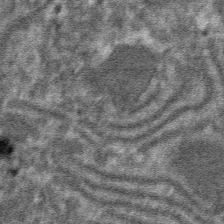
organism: Mouse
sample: Mouse hepatocytes